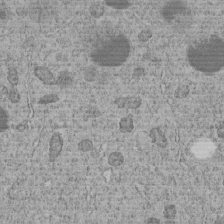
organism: C. elegans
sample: C. elegans embryo early stage